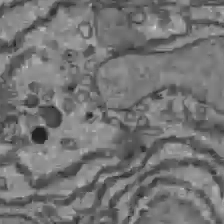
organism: C57BL Mouse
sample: Liver